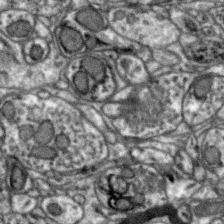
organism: Zebra finch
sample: Brain